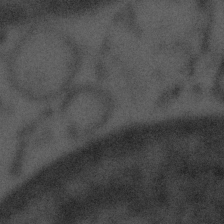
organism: Tuwongella immobilis